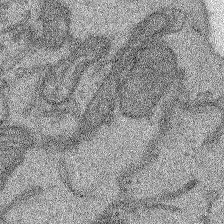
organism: Human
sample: HeLa cells